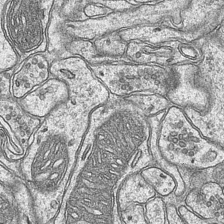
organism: Mouse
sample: CA1 Hippocampus